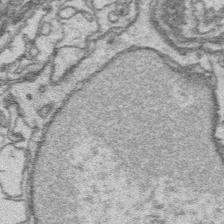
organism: Platynereis dumerilii